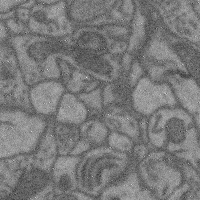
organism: Mouse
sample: Cerebral cortex